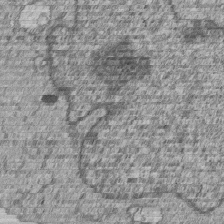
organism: Human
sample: MDA-MB-231 cells